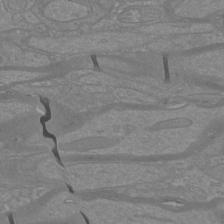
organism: Mouse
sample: Cortical neurons